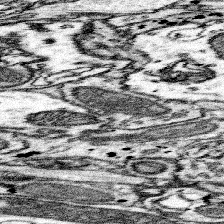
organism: Mouse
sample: Somatosensory cortex neuropil